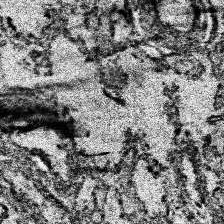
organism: Human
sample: Temporal Lobe